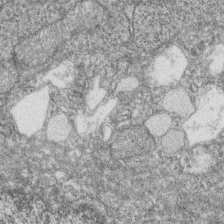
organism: Zebrafish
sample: Cilia; retinal pigment epithelium